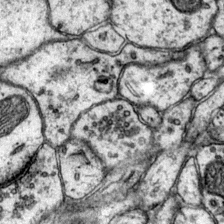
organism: Mouse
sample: Primary visual cortex